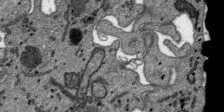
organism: Human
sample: Lung epithelial cells, uninfected (mock) control